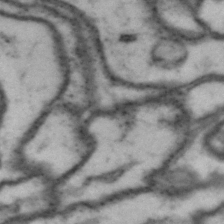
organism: Drosophila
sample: Brain